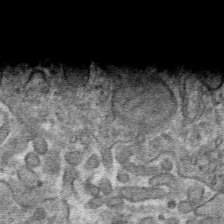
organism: Mouse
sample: Mouse hepatocytes